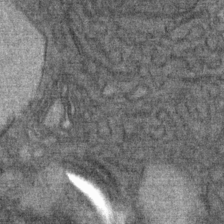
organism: Mouse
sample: Mouse Salivary gland